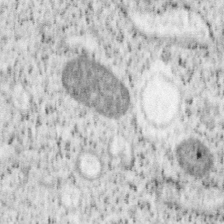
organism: Mouse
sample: OT-I killer T cells with ID8 ovarian cancer cells